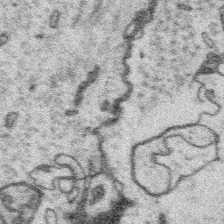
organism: Platynereis dumerilii